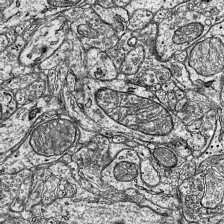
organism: Mouse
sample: Visual Cortex